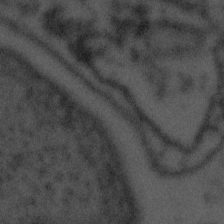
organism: Tuwongella immobilis